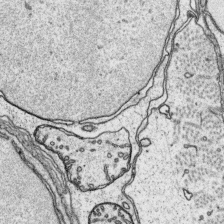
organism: Platynereis dumerilii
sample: Parapodia